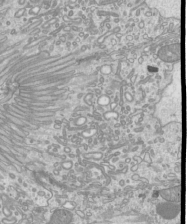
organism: Mouse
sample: Cilia; mouse epididymis